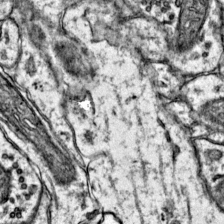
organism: Mouse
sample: Primary visual cortex